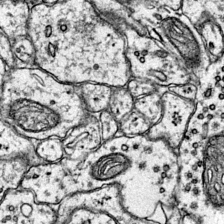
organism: Mouse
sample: Primary visual cortex